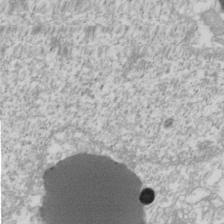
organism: Xenopus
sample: Cilia; centrioles in frog embryo cells